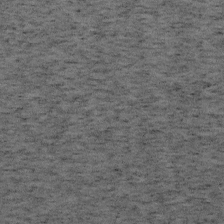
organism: Mouse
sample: OT-I killer T cells with ID8 ovarian cancer cells